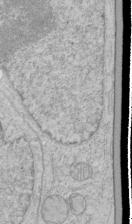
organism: Human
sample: Mitochondria in HCT116 cells